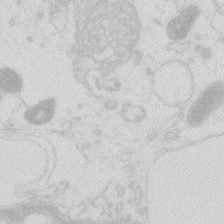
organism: Zebrafish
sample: Macrophage